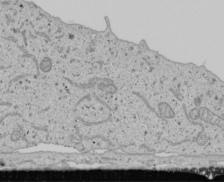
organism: Human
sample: Mitochondria in U2OS cells